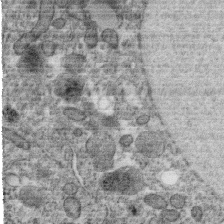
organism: C. elegans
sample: C. elegans oocyte; sperm cells